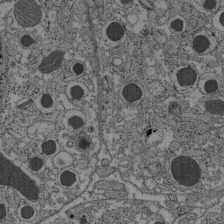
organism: C57BL Mouse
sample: Pancreatic islet